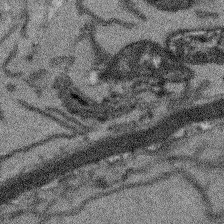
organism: Arabidopsis thaliana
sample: Root tip